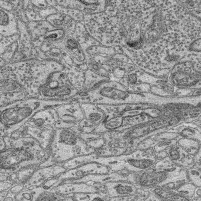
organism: Mouse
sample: Retina